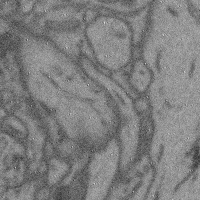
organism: Mouse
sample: Cerebral cortex